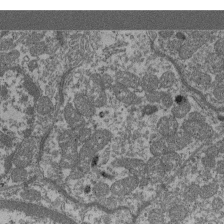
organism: Mouse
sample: Glomerulus